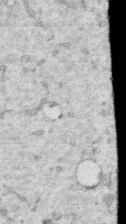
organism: Human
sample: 1205lu cells